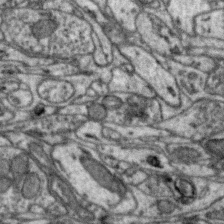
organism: Zebra finch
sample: Brain